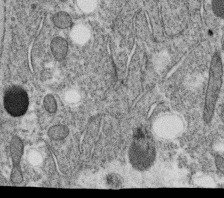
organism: C. elegans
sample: C. elegans oocyte; sperm cells